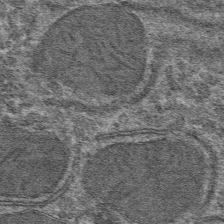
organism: Mouse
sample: Mouse hepatocytes